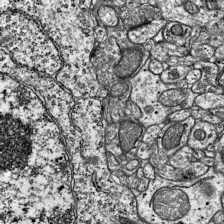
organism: Mouse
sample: Visual Cortex